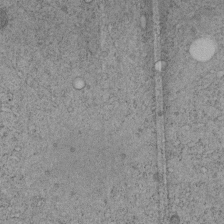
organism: C. elegans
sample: C. elegans embryo early stage